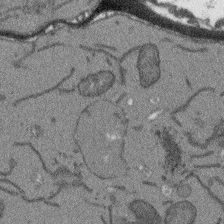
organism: Arabidopsis thaliana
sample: Root tip